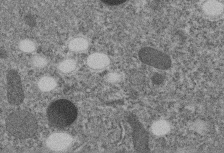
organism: C. elegans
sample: C. elegans embryo early stage